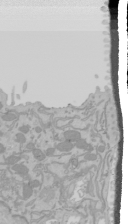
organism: Mouse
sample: Cancer cell death in ED-1 cells